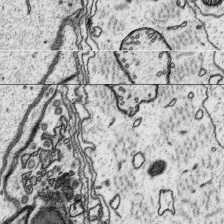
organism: Platynereis dumerilii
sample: Parapodia